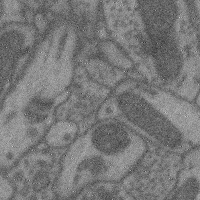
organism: Mouse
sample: Cerebral cortex